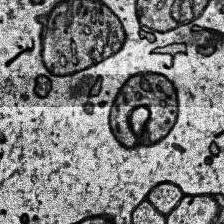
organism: Human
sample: Temporal Lobe